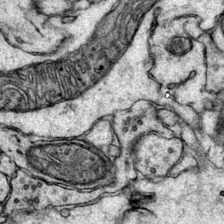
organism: Mouse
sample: Primary visual cortex